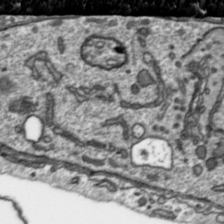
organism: Toxoplasma gondii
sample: Parasites in a vacuole inside a host cell